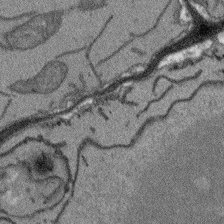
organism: Arabidopsis thaliana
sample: Root tip